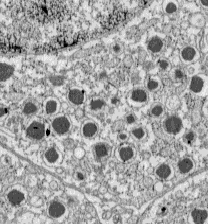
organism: C57BL Mouse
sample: Pancreatic islet